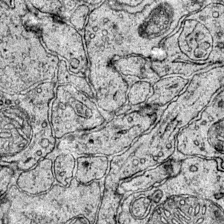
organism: Mouse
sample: Primary visual cortex